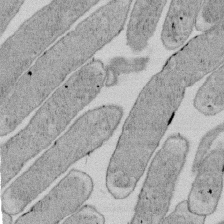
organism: E. coli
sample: Bacterial nucleoid